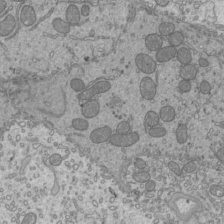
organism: Mouse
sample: Cilia; mouse epididymis